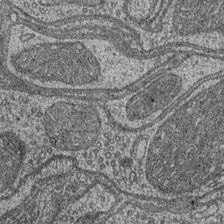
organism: Drosophila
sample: Optic medulla